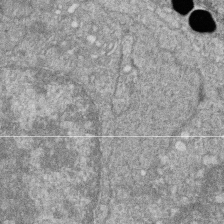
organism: Zebrafish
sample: Cilia; retinal pigment epithelium